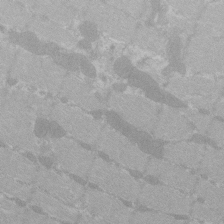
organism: C57BL Mouse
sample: Tibialis anterior muscle cell